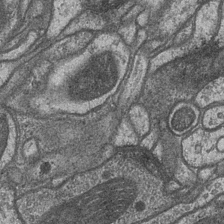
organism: Drosophila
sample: Optic medulla